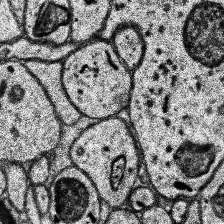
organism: Human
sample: Temporal Lobe